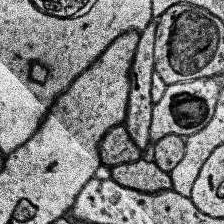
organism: Human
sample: Temporal Lobe